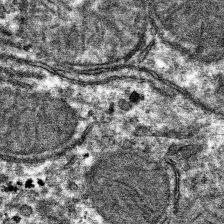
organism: Mouse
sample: Mouse hepatocytes